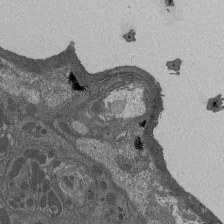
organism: Drosophila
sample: Antenna